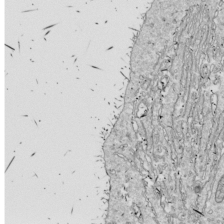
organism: Drosophila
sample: Cell division; meiosis; drosophila spermatocytes